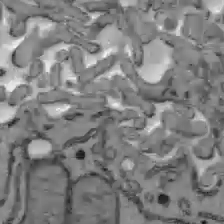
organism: C57BL Mouse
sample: Liver